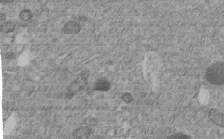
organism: C. elegans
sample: C. elegans embryo early stage